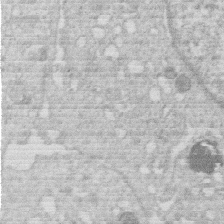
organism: Human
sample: Macrophage cells